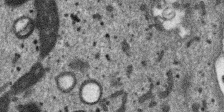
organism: Human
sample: Lung epithelial cells infected with SARS-CoV-2